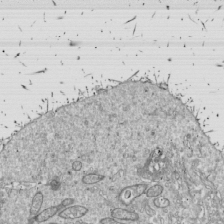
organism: Drosophila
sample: Cell division; meiosis; drosophila spermatocytes